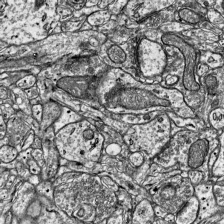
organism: Mouse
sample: Visual Cortex